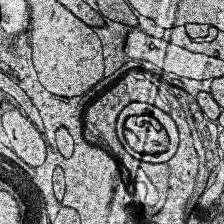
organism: Human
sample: Temporal Lobe